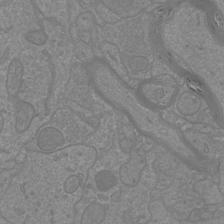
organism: Mouse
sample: Cortical neurons